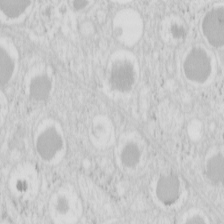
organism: Mouse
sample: Pancreas